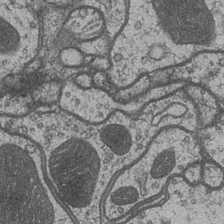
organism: Drosophila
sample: Optic medulla